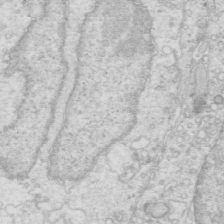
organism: Mouse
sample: Multiciliated cells